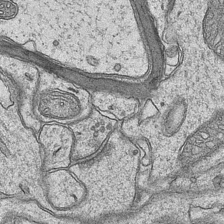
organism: Mouse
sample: CA1 Hippocampus